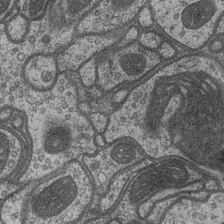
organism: Drosophila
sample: Optic medulla